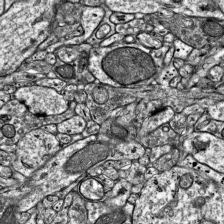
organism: Mouse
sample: Visual Cortex